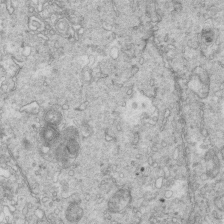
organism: Mouse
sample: Multiciliated cells